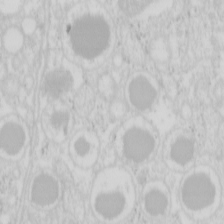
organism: Mouse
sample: Pancreas